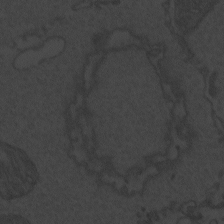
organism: Zebrafish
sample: Macrophage infected with Toxoplasma gondii